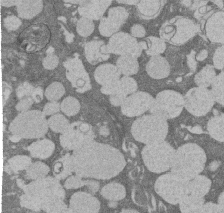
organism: Rat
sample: Salivary granule